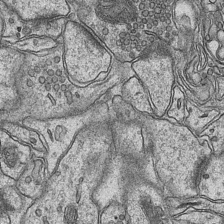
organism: Mouse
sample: CA1 Hippocampus